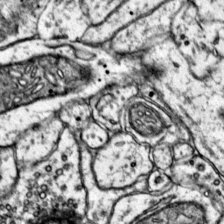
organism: Mouse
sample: Primary visual cortex